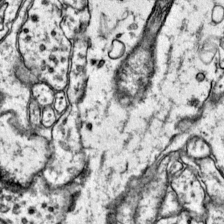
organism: Mouse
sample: Primary visual cortex